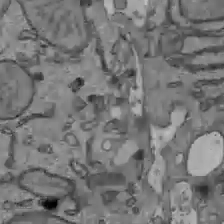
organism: C57BL Mouse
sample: Liver